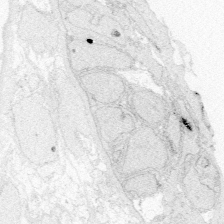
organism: Zebrafish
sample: Whole-Brain